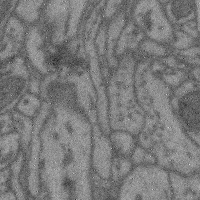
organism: Mouse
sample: Cerebral cortex